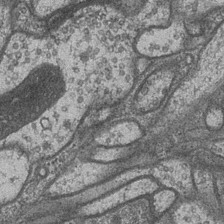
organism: Drosophila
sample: Optic medulla